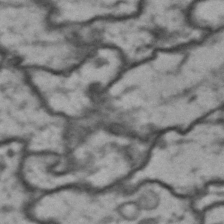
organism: Drosophila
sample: Brain